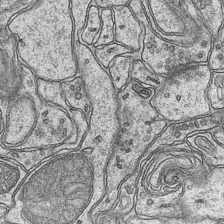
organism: Mouse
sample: CA1 Hippocampus